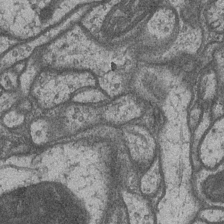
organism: Drosophila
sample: Optic medulla